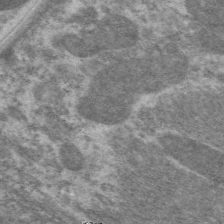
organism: C. elegans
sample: Pharynx